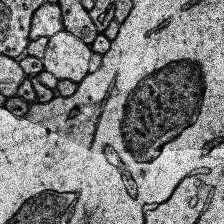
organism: Human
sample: Temporal Lobe